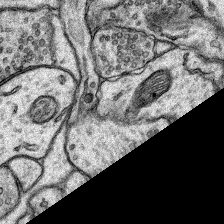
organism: Rat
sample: Hippocampus